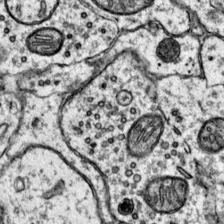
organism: Mouse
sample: Primary visual cortex